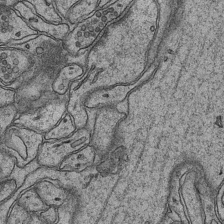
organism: Mouse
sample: CA1 Hippocampus